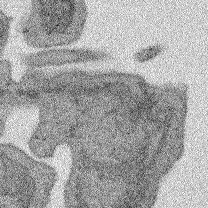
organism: Human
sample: HeLa cells